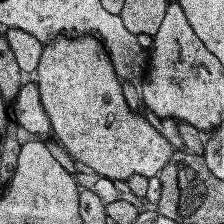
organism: Human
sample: Temporal Lobe